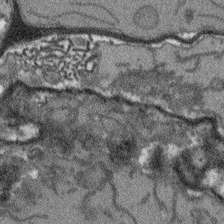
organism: Arabidopsis thaliana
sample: Root tip